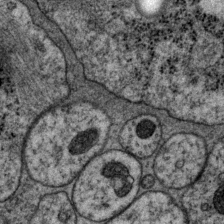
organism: P. pacificus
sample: Pharynx